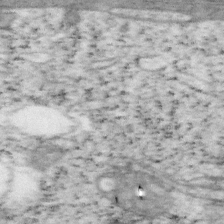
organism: Mouse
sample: OT-I killer T cells with ID8 ovarian cancer cells